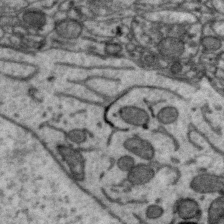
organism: Zebra finch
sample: Brain